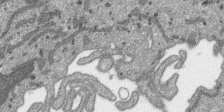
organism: Human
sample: Lung epithelial cells infected with SARS-CoV-2